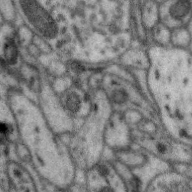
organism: Zebra finch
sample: Brain